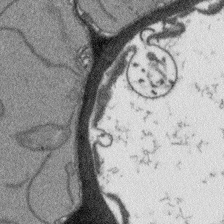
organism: Arabidopsis thaliana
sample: Root tip